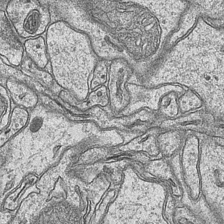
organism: Mouse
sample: CA1 Hippocampus